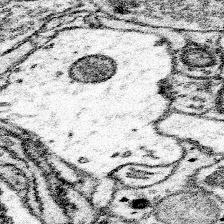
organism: Mouse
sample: Somatosensory cortex neuropil